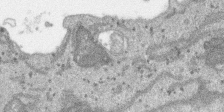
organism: Human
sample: Lung epithelial cells infected with SARS-CoV-2